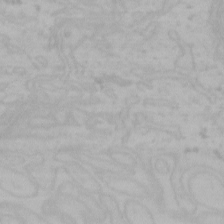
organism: Mouse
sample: Choroid plexus